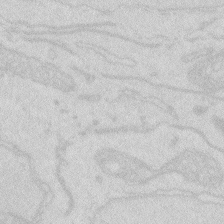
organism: Zebrafish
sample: Macrophage